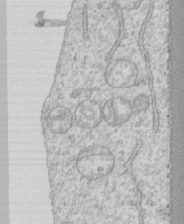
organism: Human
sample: CRL-1474